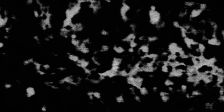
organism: Human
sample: Lung epithelial cells, uninfected (mock) control